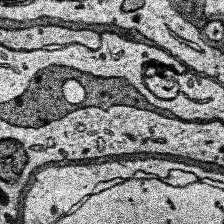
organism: Human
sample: Temporal Lobe